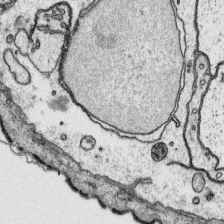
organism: Platynereis dumerilii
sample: Parapodia